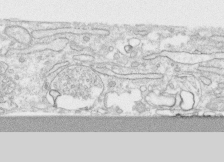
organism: Human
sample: CRL-1474